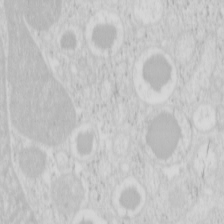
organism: Mouse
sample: Pancreas